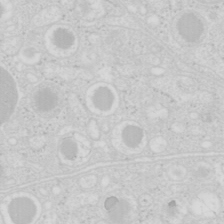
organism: Mouse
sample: Pancreas